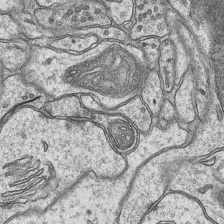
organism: Mouse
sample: CA1 Hippocampus